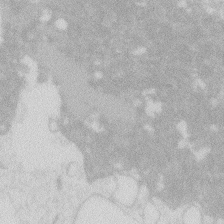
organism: Zebrafish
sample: Macrophage